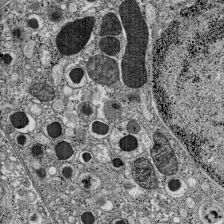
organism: C57BL Mouse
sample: Pancreatic islet